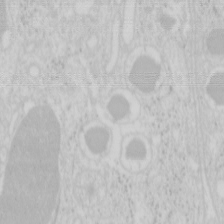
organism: Mouse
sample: Pancreas